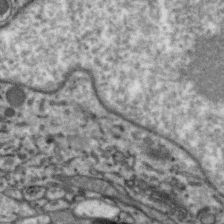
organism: Zebra finch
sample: Brain